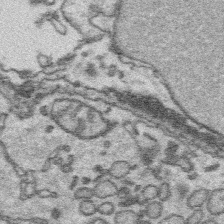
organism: Platynereis dumerilii